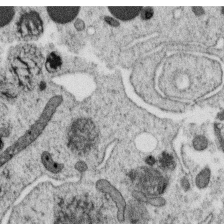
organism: C. elegans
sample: C. elegans oocyte; sperm cells